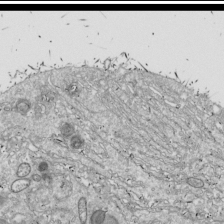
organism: Drosophila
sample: Cell division; meiosis; drosophila spermatocytes